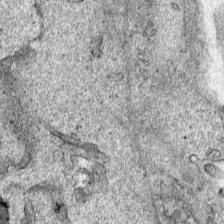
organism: Human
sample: Mitochondria in HCT116 cells